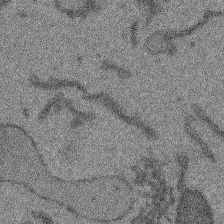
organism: Arabidopsis thaliana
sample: Root tip